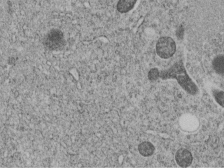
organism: C. elegans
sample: C. elegans embryo early stage